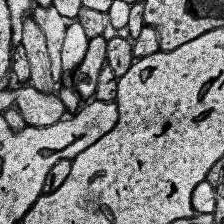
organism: Human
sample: Temporal Lobe